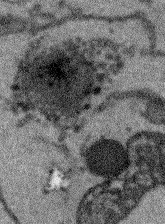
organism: Arabidopsis thaliana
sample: Root tip